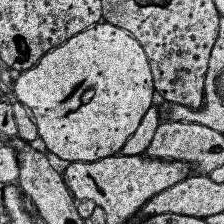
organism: Human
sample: Temporal Lobe